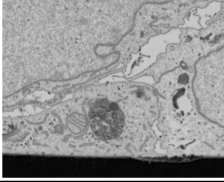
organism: Human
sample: Mitochondria in U2OS cells